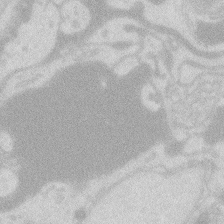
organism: Zebrafish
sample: Macrophage